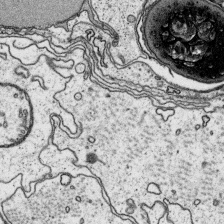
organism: Platynereis dumerilii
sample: Parapodia